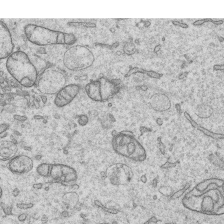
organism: Human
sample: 1205lu cells